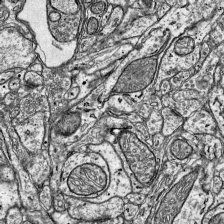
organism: Mouse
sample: Visual Cortex